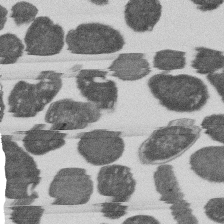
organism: E. coli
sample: Bacterial nucleoid